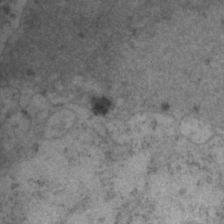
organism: P. pacificus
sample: Pharynx